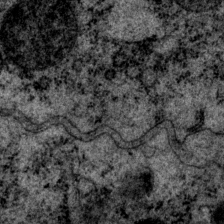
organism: P. pacificus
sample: Pharynx